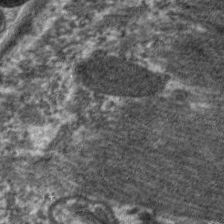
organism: C. elegans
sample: Pharynx